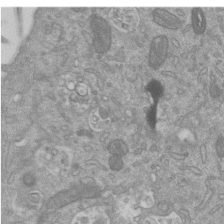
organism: Mouse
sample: ED-1 cell nuclei; centrioles